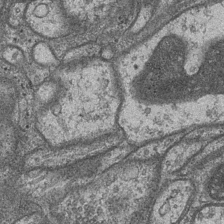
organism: Drosophila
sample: Optic medulla